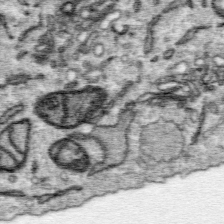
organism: Human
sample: HeLa cells